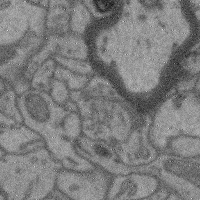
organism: Mouse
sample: Cerebral cortex